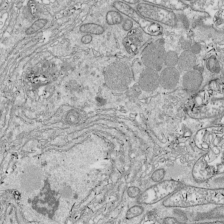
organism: Drosophila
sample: Cell division; meiosis; drosophila spermatocytes